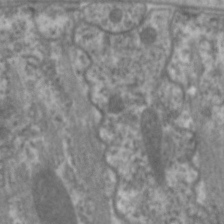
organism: C. elegans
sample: Pharynx